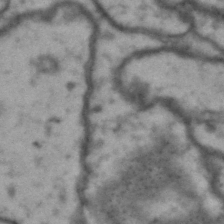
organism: Drosophila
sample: Brain